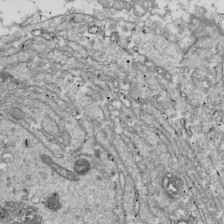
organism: Drosophila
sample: Cell division; meiosis; drosophila spermatocytes